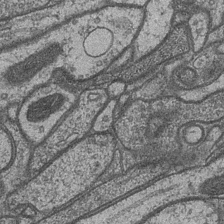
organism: Drosophila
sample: Optic medulla